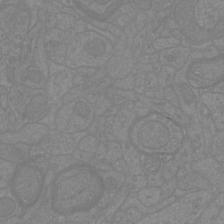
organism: Mouse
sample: Cortical neurons